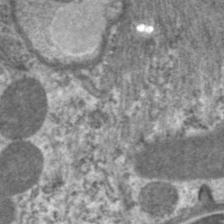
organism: C. elegans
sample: Pharynx